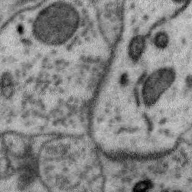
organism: Zebra finch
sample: Brain